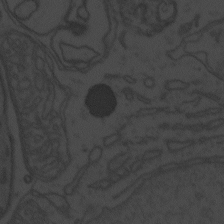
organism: Zebrafish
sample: Macrophage infected with Toxoplasma gondii